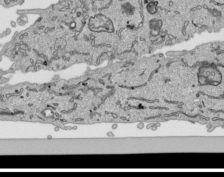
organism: Human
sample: Mitochondria in HCT116 cells